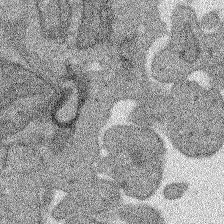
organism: Human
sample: HeLa cells